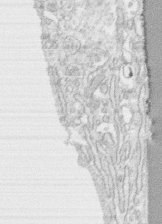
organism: Human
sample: CRL-1474